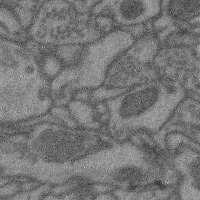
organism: Mouse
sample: Cerebral cortex